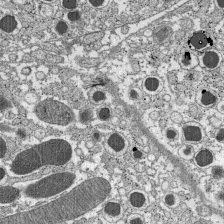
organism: C57BL Mouse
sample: Pancreatic islet